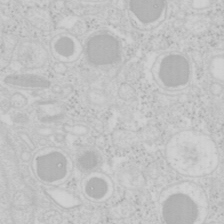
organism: Mouse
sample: Pancreas